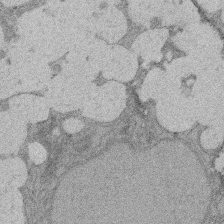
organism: Rat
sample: Salivary granule